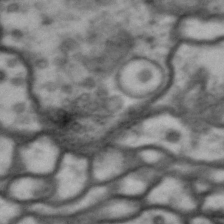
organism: Drosophila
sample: Brain